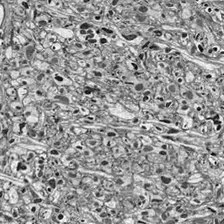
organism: Drosophila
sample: Optic lobe